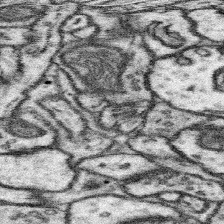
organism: Mouse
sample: Somatosensory cortex neuropil